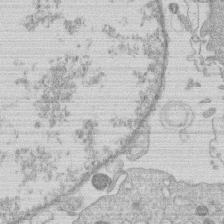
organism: Human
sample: Macrophage cells